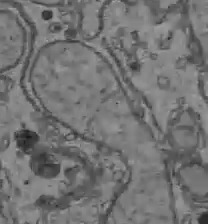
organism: C57BL Mouse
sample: Liver